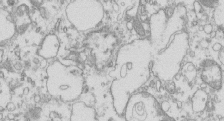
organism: Mouse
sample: Macrophages